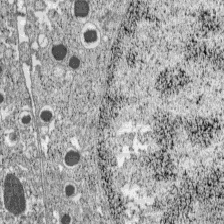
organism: C57BL Mouse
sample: Pancreatic islet